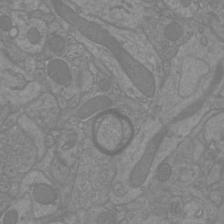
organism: Mouse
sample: Cortical neurons